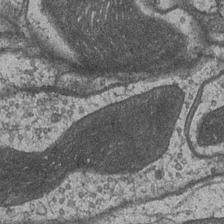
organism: Drosophila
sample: Optic medulla